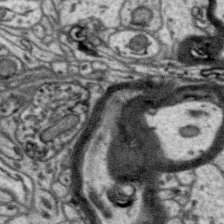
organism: Zebra finch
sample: Brain